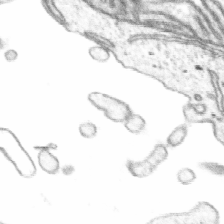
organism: Human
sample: HeLa cells